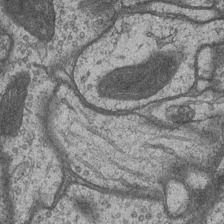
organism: Drosophila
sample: Optic medulla